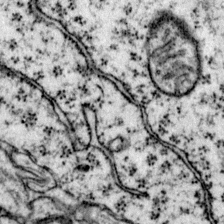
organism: Mouse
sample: Primary visual cortex